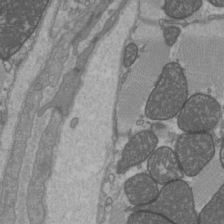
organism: C57BL Mouse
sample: Heart